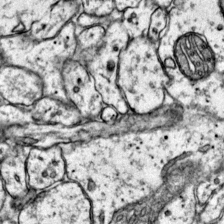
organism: Mouse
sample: Primary visual cortex